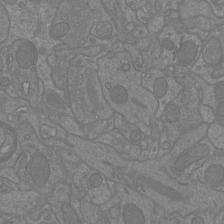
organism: Mouse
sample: Cortical neurons